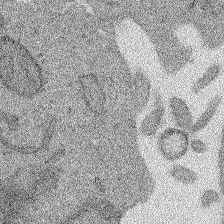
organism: Human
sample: HeLa cells